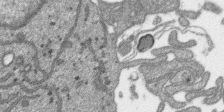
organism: Human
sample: Lung epithelial cells infected with SARS-CoV-2